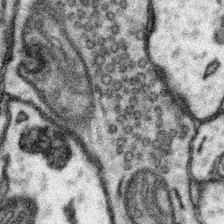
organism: Mouse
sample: Somatosensory cortex neuropil